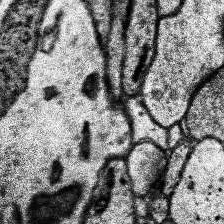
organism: Human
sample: Temporal Lobe